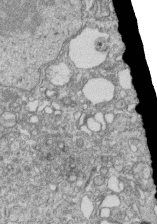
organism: Human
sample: HeLa cell HIV synapse